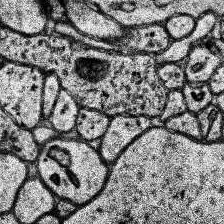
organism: Human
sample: Temporal Lobe